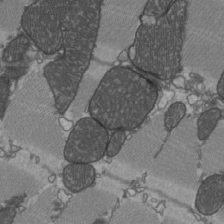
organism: C57BL Mouse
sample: Heart